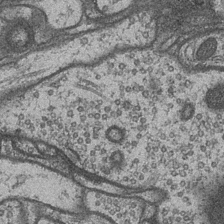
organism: Drosophila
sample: Optic medulla